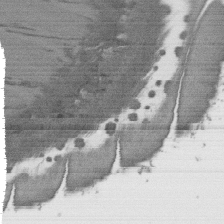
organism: C. elegans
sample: AFD neurons C. elegans